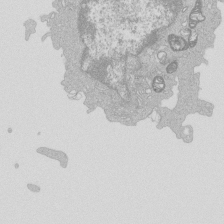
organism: Mouse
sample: Activated Pmel transgenic CD8+ T Cells